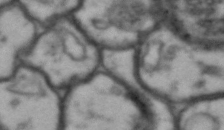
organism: Drosophila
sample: Brain